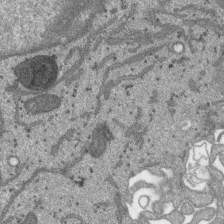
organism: Human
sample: Lung epithelial cells infected with SARS-CoV-2